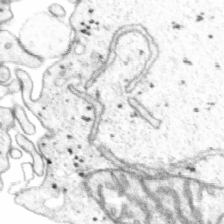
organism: Human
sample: HeLa cells